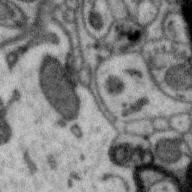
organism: Zebra finch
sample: Brain